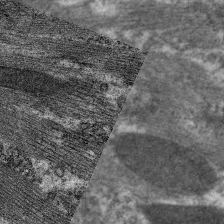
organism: C. elegans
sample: Pharynx